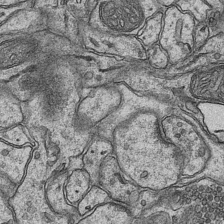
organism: Mouse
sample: CA1 Hippocampus